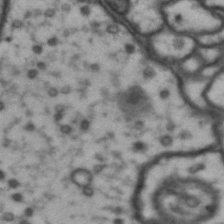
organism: Drosophila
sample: Brain